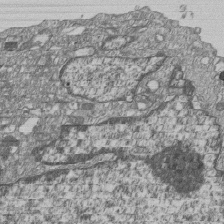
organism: Human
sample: MDA-MB-231 cells